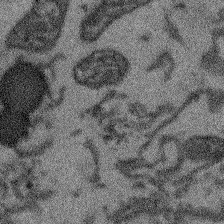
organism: Arabidopsis thaliana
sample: Root tip